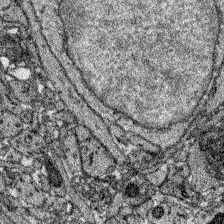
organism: Zebrafish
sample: Larval olfactory bulb